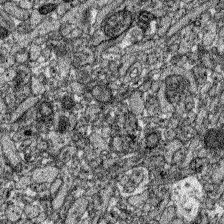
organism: Zebrafish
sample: Larval olfactory bulb